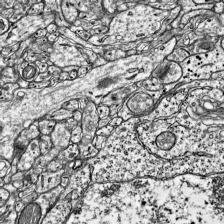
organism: Mouse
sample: Visual Cortex